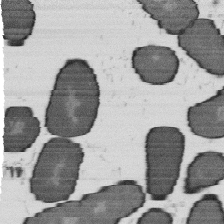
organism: B. subtilis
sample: Bacterial spore